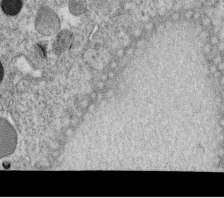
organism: C. elegans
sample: C. elegans oocyte; sperm cells